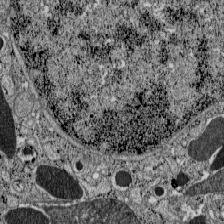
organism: C57BL Mouse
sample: Pancreatic islet